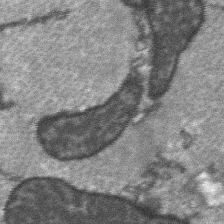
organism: C57BL Mouse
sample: Soleus